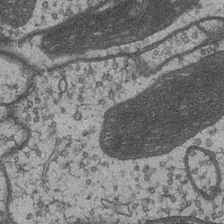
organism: Drosophila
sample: Optic medulla